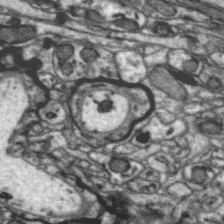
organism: Zebra finch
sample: Brain